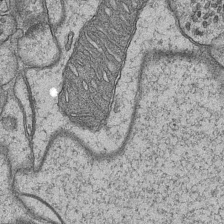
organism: Mouse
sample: CA1 Hippocampus